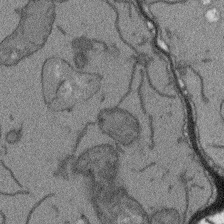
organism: Arabidopsis thaliana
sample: Root tip